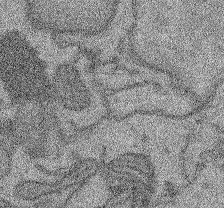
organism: Human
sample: HeLa cells